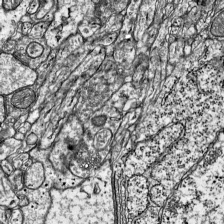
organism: Mouse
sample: Visual Cortex